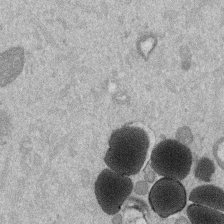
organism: Mouse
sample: Dividing mouse embryo 1 cell stage